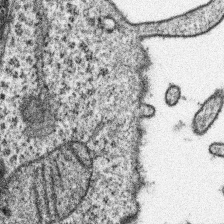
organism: Human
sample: HeLa cells